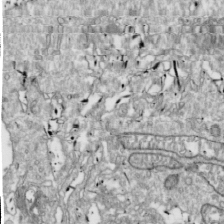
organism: Drosophila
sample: Cell division; meiosis; drosophila spermatocytes